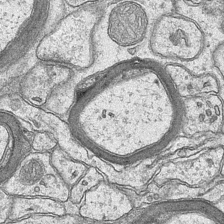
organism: Mouse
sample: CA1 Hippocampus